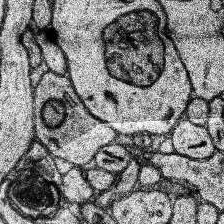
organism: Human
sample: Temporal Lobe